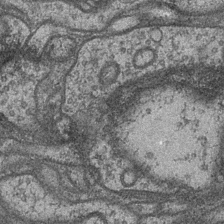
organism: Drosophila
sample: Optic medulla